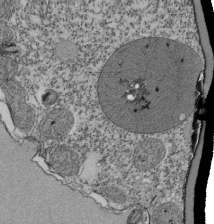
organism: Tetrahymena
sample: Cilia in tetrahymena